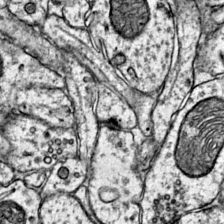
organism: Mouse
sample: Primary visual cortex